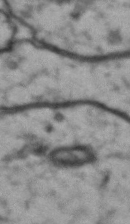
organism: Drosophila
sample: Brain